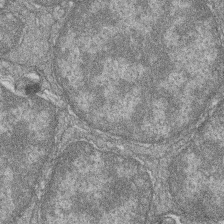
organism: Zebrafish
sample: Cilia; retinal pigment epithelium